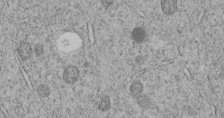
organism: C. elegans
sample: C. elegans embryo early stage